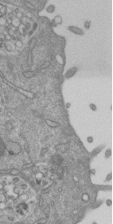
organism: Mouse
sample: ED-1 cell nuclei; centrioles